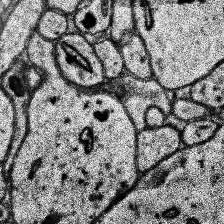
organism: Human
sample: Temporal Lobe